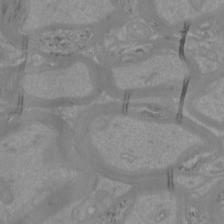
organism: Mouse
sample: Cortical neurons